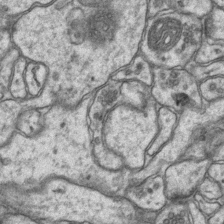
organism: Mouse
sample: CA1 Hippocampus